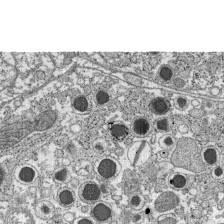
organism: C57BL Mouse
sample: Pancreatic islet